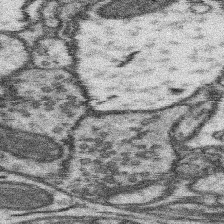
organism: Mouse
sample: Somatosensory cortex neuropil